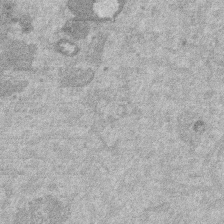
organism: Mouse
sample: Dividing mouse embryo 1 cell stage